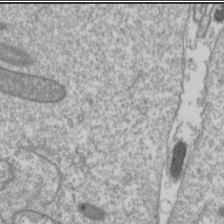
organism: Drosophila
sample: Cell division; meiosis; drosophila spermatocytes